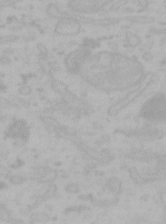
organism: Mouse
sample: Choroid plexus